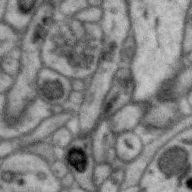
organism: Zebra finch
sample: Brain